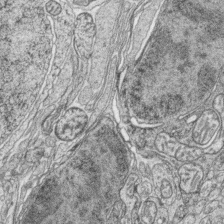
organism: Zebrafish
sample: synaptic ribbons in rod cells and cone cells